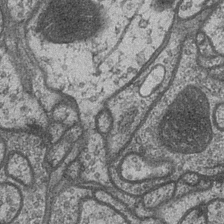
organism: Drosophila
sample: Optic medulla